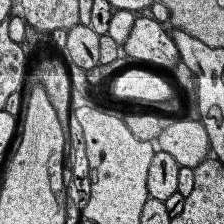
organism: Human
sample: Temporal Lobe